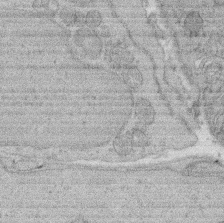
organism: Rat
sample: Salivary granule